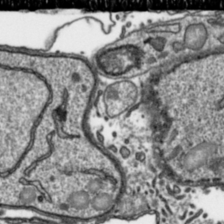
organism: Toxoplasma gondii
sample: Parasites in a vacuole inside a host cell